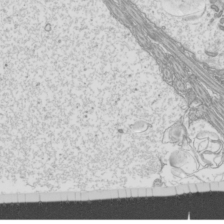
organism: Mouse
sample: Cilia; mouse epididymis